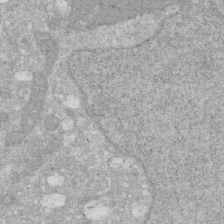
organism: Human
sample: HIV infected U937 cells